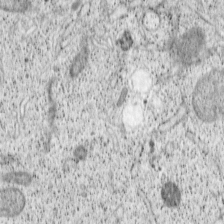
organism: African green monkey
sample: COS-7 cells